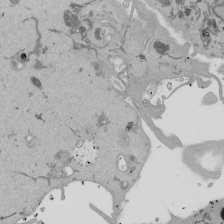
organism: Mouse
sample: ED-1 cell nuclei; centrioles